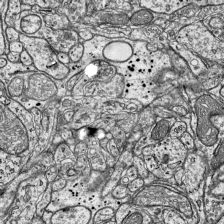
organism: Mouse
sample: Visual Cortex